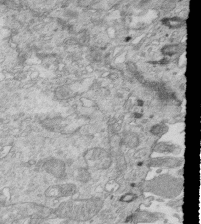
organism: Mouse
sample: Multiciliated cells